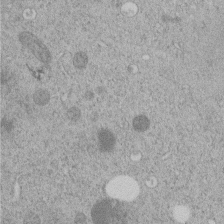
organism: C. elegans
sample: C. elegans embryo early stage